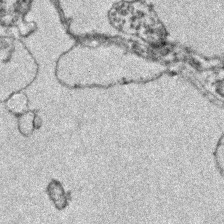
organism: Zebrafish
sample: Zebrafish embryo